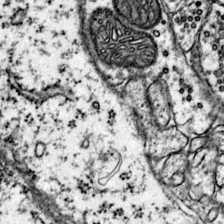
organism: Mouse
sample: Primary visual cortex